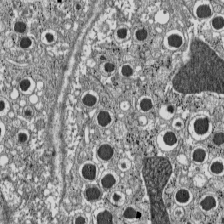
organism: C57BL Mouse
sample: Pancreatic islet